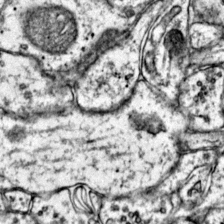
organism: Mouse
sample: Primary visual cortex